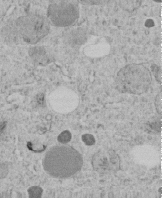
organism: C. elegans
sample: C. elegans embryo early stage